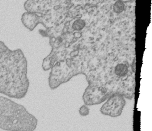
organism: Human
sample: MDA-MB-231 cells